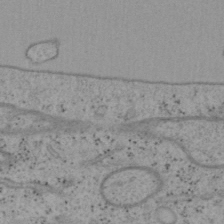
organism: Human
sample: HeLa cells